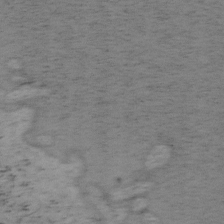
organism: Mouse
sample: OT-I killer T cells with ID8 ovarian cancer cells